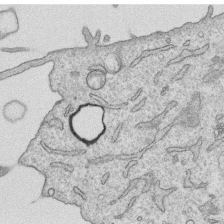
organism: Human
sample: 1205lu cells